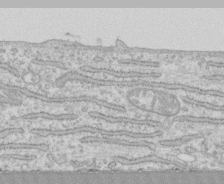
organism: Human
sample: CRL-1474